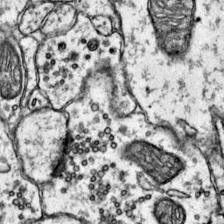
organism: Mouse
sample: Primary visual cortex